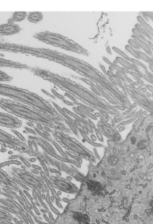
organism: Mouse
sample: Mouse epididymis efferent ductule cilia